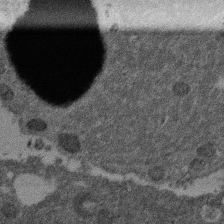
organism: Mouse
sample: Dividing mouse embryo 1 cell stage